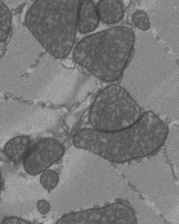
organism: C57BL Mouse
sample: Heart